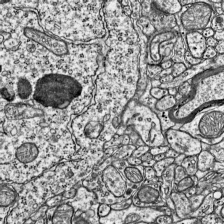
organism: Mouse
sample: Visual Cortex